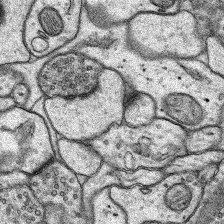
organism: Rat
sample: Hippocampus